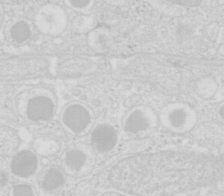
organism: Mouse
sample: Pancreas